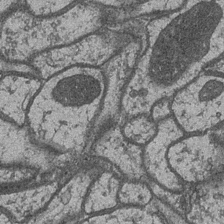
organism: Drosophila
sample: Optic medulla